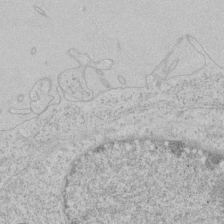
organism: Human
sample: Mitochondria in HCT116 cells